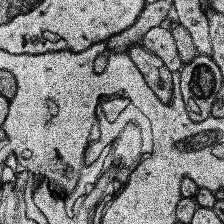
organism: Human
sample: Temporal Lobe